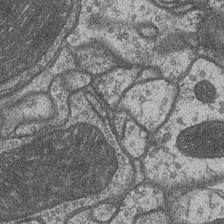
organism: Drosophila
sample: Optic medulla